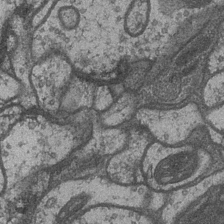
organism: Drosophila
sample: Optic medulla